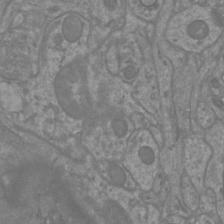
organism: Mouse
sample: Cortical neurons